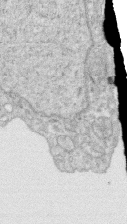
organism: Human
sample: HeLa cell HIV synapse